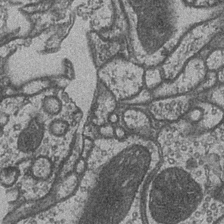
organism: Drosophila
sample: Optic medulla